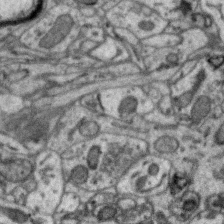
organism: Zebra finch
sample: Brain